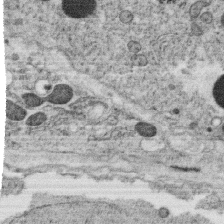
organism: C. elegans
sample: C. elegans oocyte; sperm cells